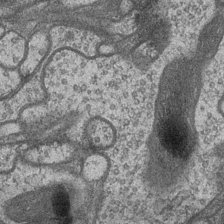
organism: Drosophila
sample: Optic medulla